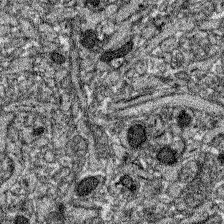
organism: Zebrafish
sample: Larval olfactory bulb